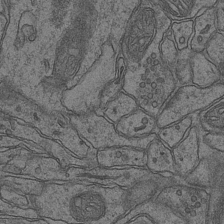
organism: Mouse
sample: CA1 Hippocampus